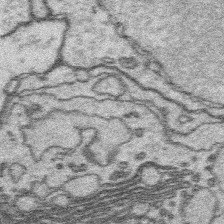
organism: Platynereis dumerilii